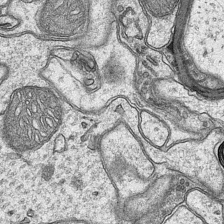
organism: Mouse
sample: CA1 Hippocampus